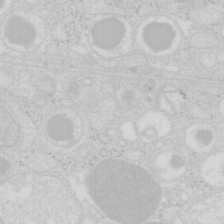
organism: Mouse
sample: Pancreas